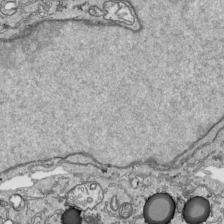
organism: Human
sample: Mitochondria in HCT116 cells